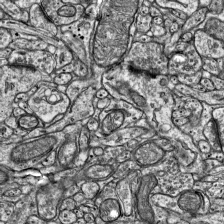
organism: Mouse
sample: Visual Cortex